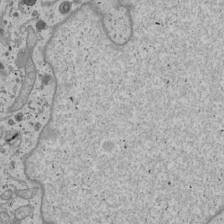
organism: Human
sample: Mitochondria in U2OS cells